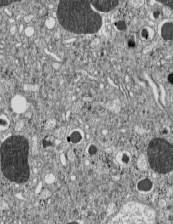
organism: C57BL Mouse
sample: Pancreatic islet